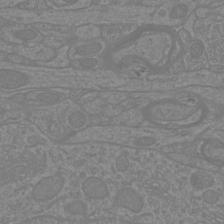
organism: Mouse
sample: Cortical neurons